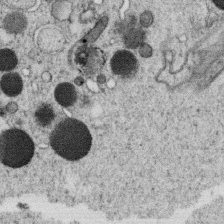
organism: C. elegans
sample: C. elegans oocyte; sperm cells